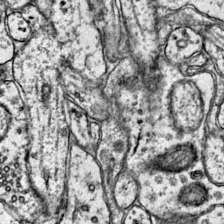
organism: Mouse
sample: Primary visual cortex